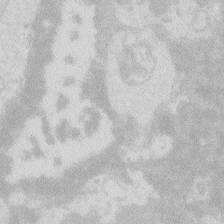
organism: Zebrafish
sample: Macrophage